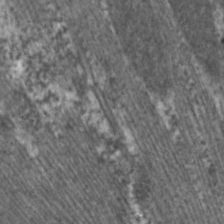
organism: C. elegans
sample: Pharynx